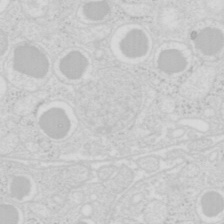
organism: Mouse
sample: Pancreas